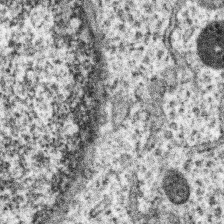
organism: Human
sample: HeLa cells